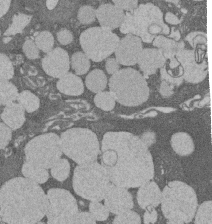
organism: Rat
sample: Salivary granule